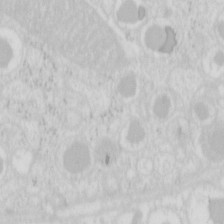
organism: Mouse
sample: Pancreas